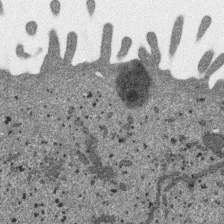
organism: Human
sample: Lung epithelial cells infected with SARS-CoV-2